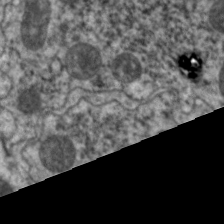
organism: C. elegans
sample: Pharynx